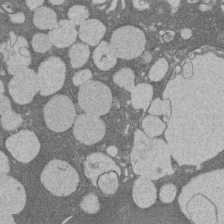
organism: Rat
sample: Salivary granule